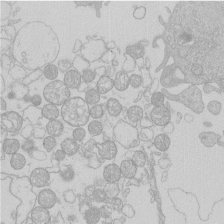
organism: Human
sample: Macrophage cells